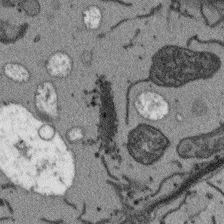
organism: Arabidopsis thaliana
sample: Root tip